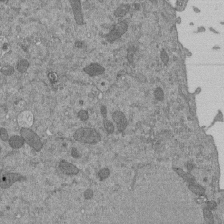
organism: Mouse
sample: ED-1 cell nuclei; centrioles